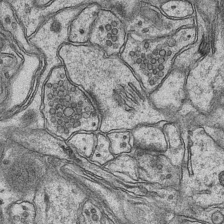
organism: Mouse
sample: CA1 Hippocampus